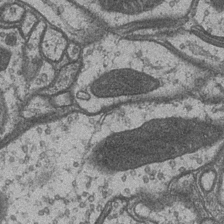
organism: Drosophila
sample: Optic medulla